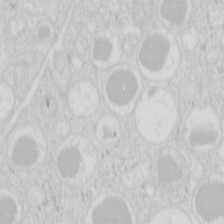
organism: Mouse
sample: Pancreas